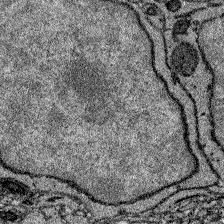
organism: Zebrafish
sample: Larval olfactory bulb